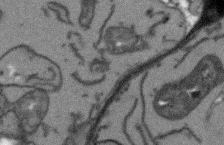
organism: Arabidopsis thaliana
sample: Root tip